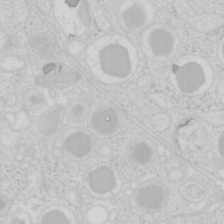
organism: Mouse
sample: Pancreas